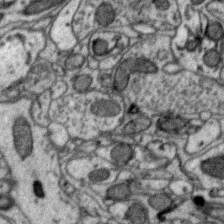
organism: Zebra finch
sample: Brain